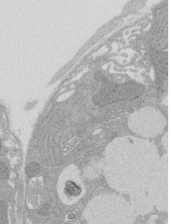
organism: Rat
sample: Salivary granule